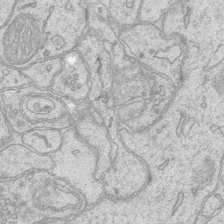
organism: Mouse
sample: CA1 Hippocampus